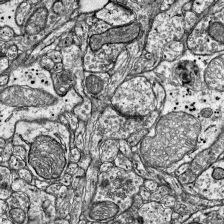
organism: Mouse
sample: Visual Cortex